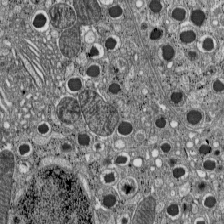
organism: C57BL Mouse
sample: Pancreatic islet